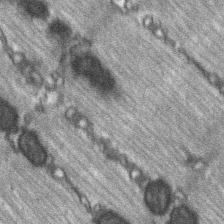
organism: C57BL Mouse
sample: Soleus